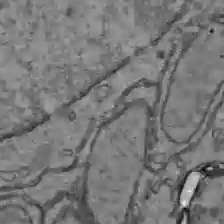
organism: C57BL Mouse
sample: Liver